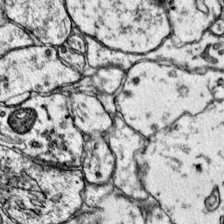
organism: Mouse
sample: Primary visual cortex